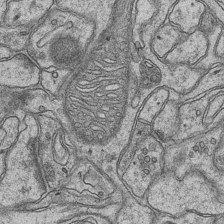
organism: Mouse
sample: CA1 Hippocampus